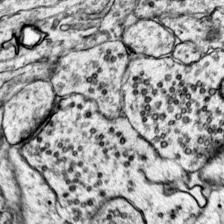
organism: Mouse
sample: Primary visual cortex